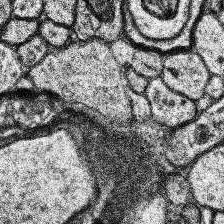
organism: Human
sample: Temporal Lobe